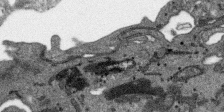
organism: Human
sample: Lung epithelial cells, uninfected (mock) control